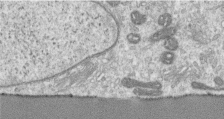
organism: Human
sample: Centriole in RPE cells